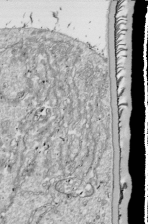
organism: Drosophila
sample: Cell division; meiosis; drosophila spermatocytes